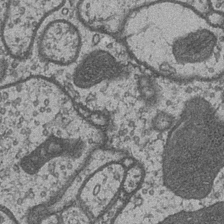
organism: Drosophila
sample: Optic medulla